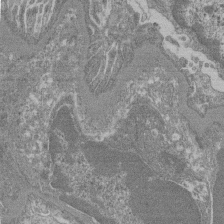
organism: Mouse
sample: Glomerulus